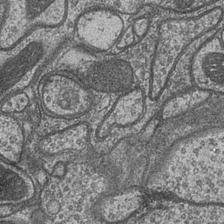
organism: Drosophila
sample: Optic medulla